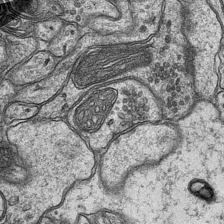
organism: Mouse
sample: CA1 Hippocampus